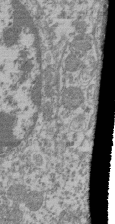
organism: Mouse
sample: Glomerulus